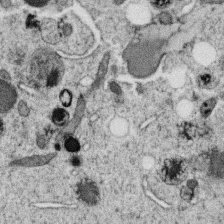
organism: C. elegans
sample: C. elegans oocyte; sperm cells